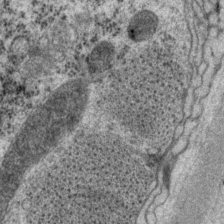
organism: P. pacificus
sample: Pharynx